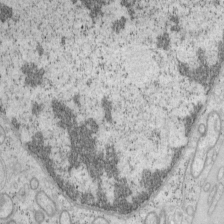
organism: Mouse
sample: OT-I killer T cells with ID8 ovarian cancer cells